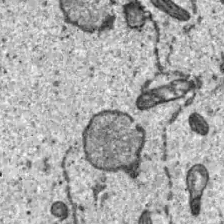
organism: Human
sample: HeLa cells